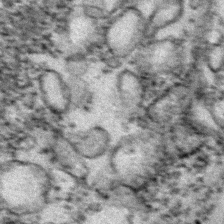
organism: Zebrafish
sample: Zebrafish embryo